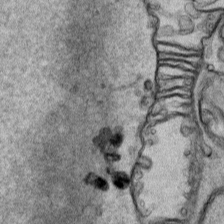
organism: Human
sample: Mitochondria in HCT116 cells